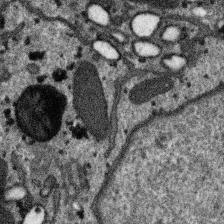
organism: Human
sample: Lung epithelial cells infected with SARS-CoV-2